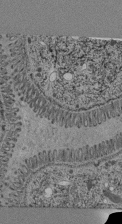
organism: C. elegans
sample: C. elegans pharynx